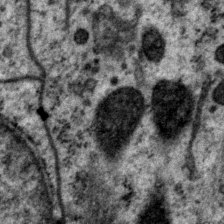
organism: P. pacificus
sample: Pharynx